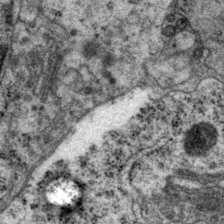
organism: P. pacificus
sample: Pharynx